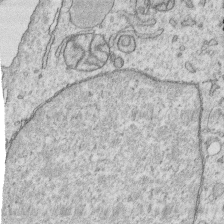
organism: Human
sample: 1205lu cells